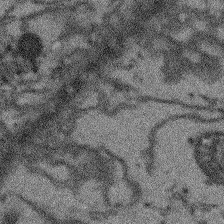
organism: Arabidopsis thaliana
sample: Root tip